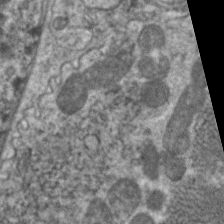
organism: C. elegans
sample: Pharynx